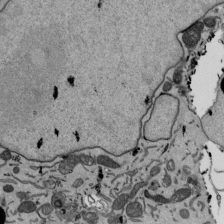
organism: Mouse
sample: ED-1 cell nuclei; centrioles